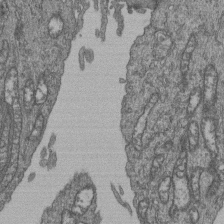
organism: Human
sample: Retinal organoid Rod and Cone cells